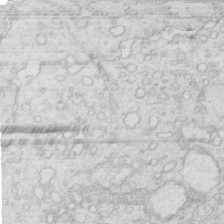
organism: Mouse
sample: Multiciliated cells